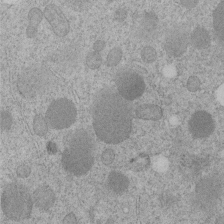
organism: C. elegans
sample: C. elegans embryo early stage